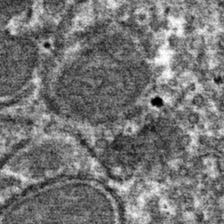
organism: Mouse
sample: Mouse hepatocytes